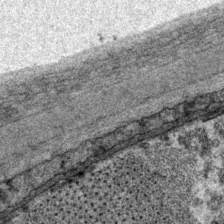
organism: P. pacificus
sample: Pharynx